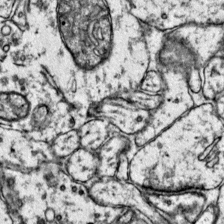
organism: Mouse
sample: Primary visual cortex